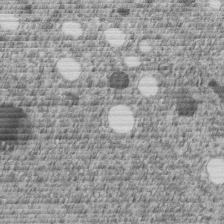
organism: C. elegans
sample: C. elegans embryo early stage